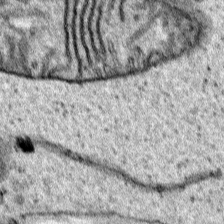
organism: Human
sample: Mitochondria in HCT116 cells